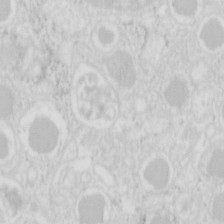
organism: Mouse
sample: Pancreas